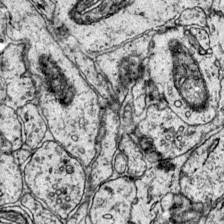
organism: Mouse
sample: Primary visual cortex